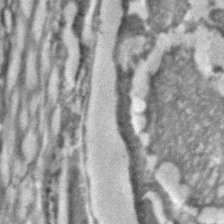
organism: C. elegans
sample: C. elegans embryo